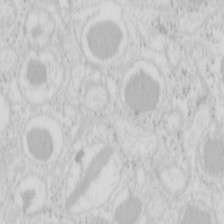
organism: Mouse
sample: Pancreas